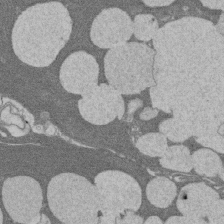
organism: Rat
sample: Salivary granule